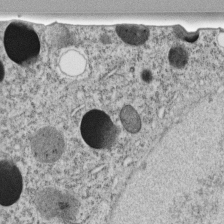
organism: C. elegans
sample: C. elegans embryo early stage